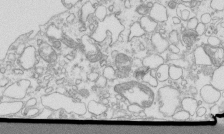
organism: Mouse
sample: Macrophages